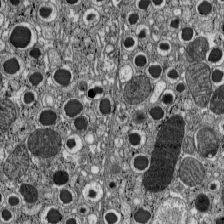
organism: C57BL Mouse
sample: Pancreatic islet